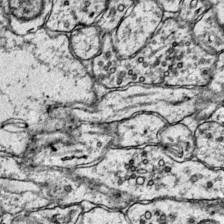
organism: Mouse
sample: Primary visual cortex